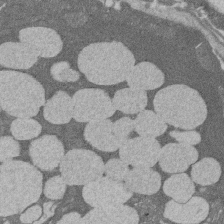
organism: Rat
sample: Salivary granule